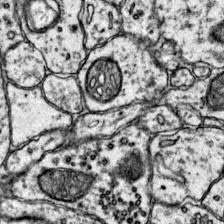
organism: Mouse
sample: Primary visual cortex